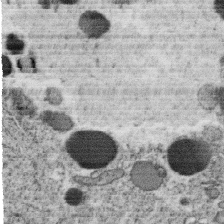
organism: C. elegans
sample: C. elegans oocyte; sperm cells